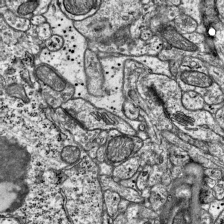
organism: Mouse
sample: Visual Cortex